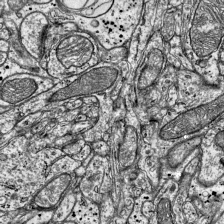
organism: Mouse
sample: Visual Cortex